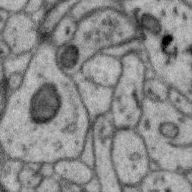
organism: Zebra finch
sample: Brain